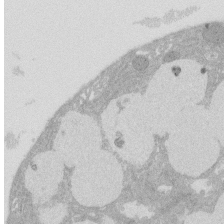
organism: Rat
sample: Salivary granule